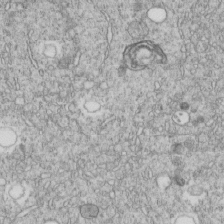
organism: C. elegans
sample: C. elegans embryo early stage